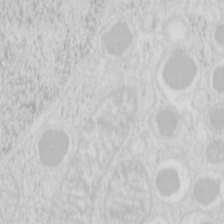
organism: Mouse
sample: Pancreas